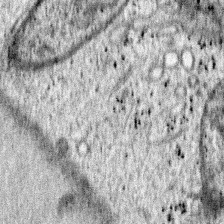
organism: Human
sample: HeLa cells